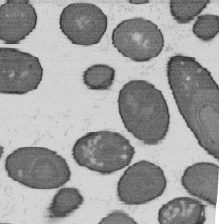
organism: B. subtilis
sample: Bacterial spore